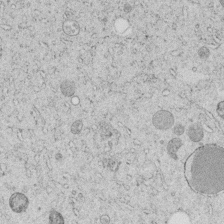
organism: C. elegans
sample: C. elegans embryo early stage